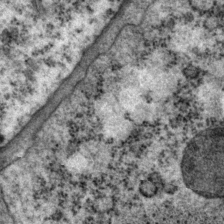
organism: P. pacificus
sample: Pharynx